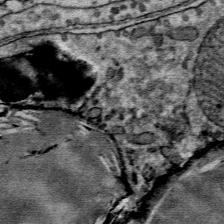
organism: Mouse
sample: Mouse Salivary gland